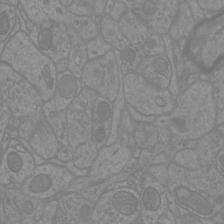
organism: Mouse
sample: Cortical neurons